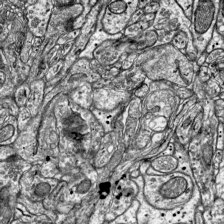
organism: Mouse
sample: Visual Cortex